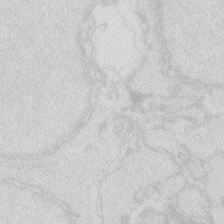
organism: Zebrafish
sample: Macrophage